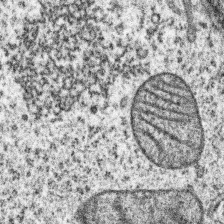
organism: Human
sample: HeLa cells